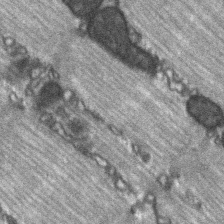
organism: C57BL Mouse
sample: Soleus